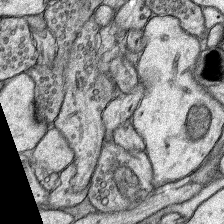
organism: Rat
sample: Hippocampus